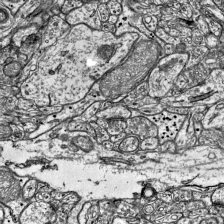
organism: Mouse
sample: Visual Cortex